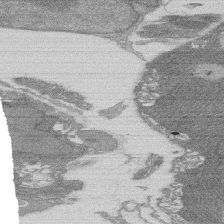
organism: Rat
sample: Salivary granule